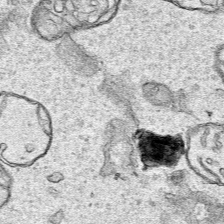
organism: Human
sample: Mitochondria in HCT116 cells